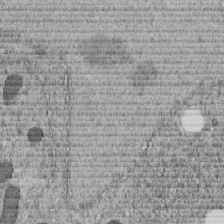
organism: C. elegans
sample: C. elegans embryo early stage